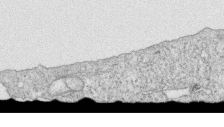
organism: Human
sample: HeLa cell HIV synapse